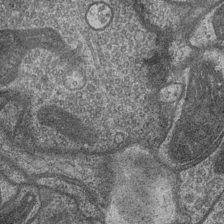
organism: Drosophila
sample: Optic medulla